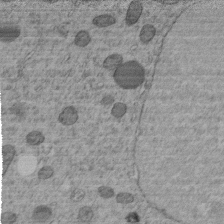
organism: C. elegans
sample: C. elegans embryo early stage